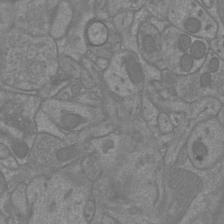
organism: Mouse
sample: Cortical neurons